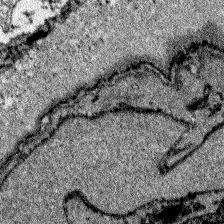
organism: Zebrafish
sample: Larval olfactory bulb